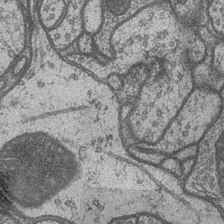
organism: Drosophila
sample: Optic medulla